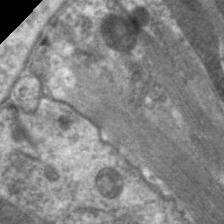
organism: C. elegans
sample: Pharynx